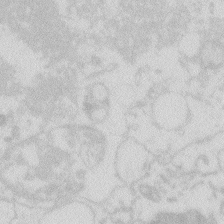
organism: Zebrafish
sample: Macrophage